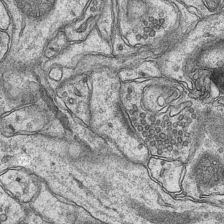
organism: Mouse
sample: CA1 Hippocampus